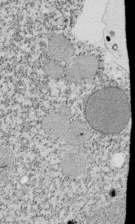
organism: Tetrahymena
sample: Cilia in tetrahymena